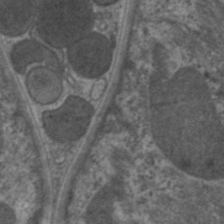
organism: C. elegans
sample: Pharynx